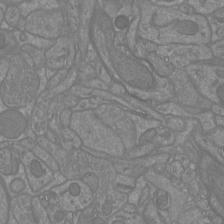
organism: Mouse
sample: Cortical neurons